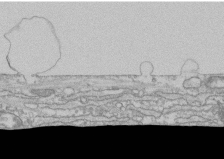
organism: Human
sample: CRL-1474